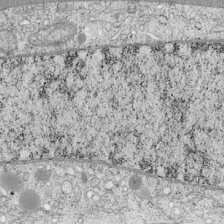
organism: African green monkey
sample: COS-7 cells